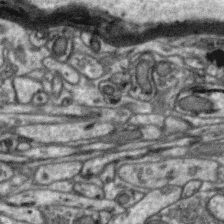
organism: Zebra finch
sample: Brain